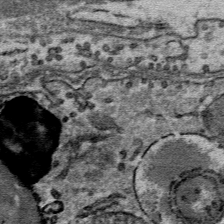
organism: Mouse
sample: Mouse Salivary gland